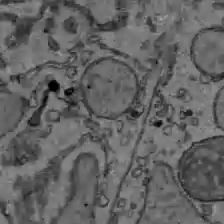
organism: C57BL Mouse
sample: Liver